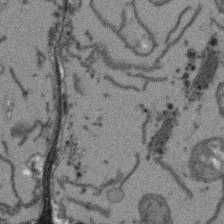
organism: Arabidopsis thaliana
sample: Root tip